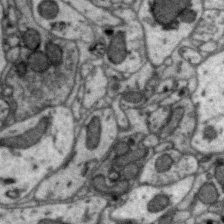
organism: Zebra finch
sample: Brain